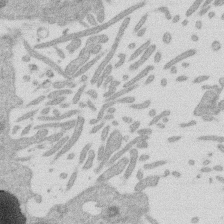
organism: Mouse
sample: Dividing mouse embryo 1 cell stage